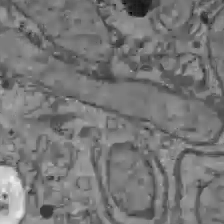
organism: C57BL Mouse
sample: Liver